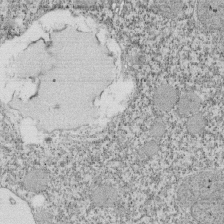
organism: Tetrahymena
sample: Cilia in tetrahymena